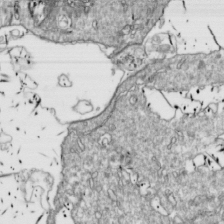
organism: Drosophila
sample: Cell division; meiosis; drosophila spermatocytes